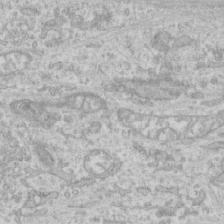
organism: Human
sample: CRL-1474